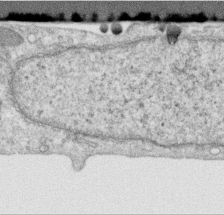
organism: Human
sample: Centriole in RPE cells